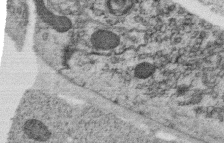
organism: C. elegans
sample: C. elegans oocyte; sperm cells